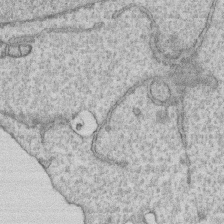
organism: Human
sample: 1205lu cells